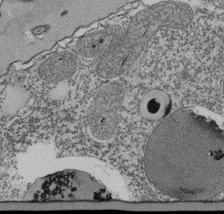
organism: Tetrahymena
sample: Cilia in tetrahymena